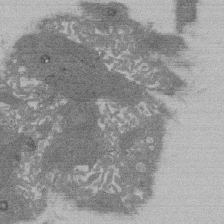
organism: Rat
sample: Salivary granule